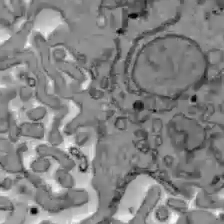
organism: C57BL Mouse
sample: Liver